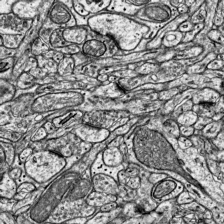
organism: Mouse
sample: Visual Cortex